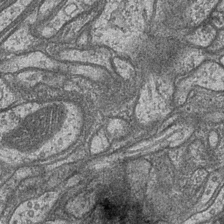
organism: Drosophila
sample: Optic medulla